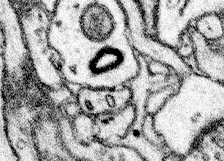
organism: Mouse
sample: Somatosensory cortex neuropil